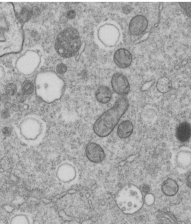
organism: C. elegans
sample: C. elegans embryo early stage